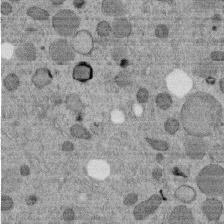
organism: C. elegans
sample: C. elegans embryo early stage